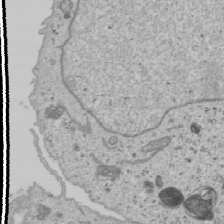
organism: Human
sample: Mitochondria in U2OS cells